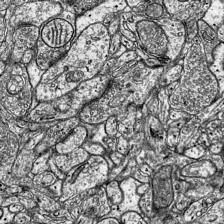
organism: Mouse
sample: Visual Cortex